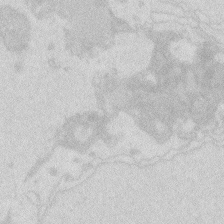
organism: Zebrafish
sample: Macrophage